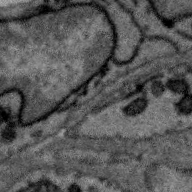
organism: Zebra finch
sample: Brain